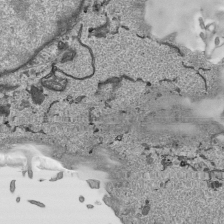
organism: Human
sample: Mitochondria in HCT116 cells